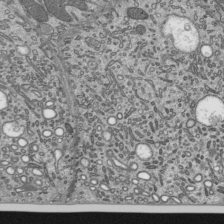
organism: Mouse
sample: Mouse epididymis efferent ductule cilia